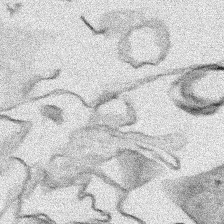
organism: Human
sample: Mitochondria in HCT116 cells